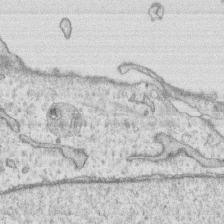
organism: Human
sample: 1205lu cells